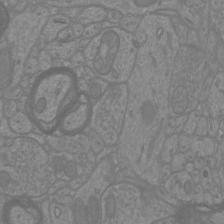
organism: Mouse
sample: Cortical neurons